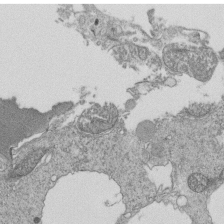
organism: Tetrahymena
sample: Cilia in tetrahymena